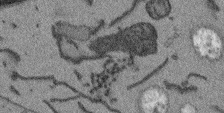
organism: Arabidopsis thaliana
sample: Root tip